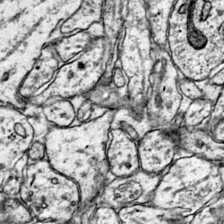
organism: Mouse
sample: Primary visual cortex